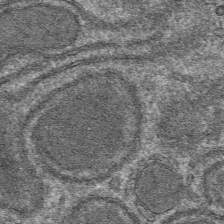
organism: Mouse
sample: Mouse hepatocytes